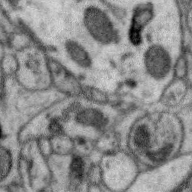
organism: Zebra finch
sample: Brain